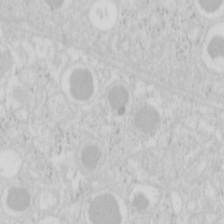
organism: Mouse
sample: Pancreas